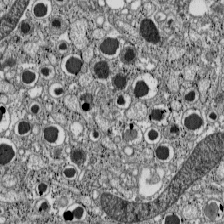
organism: C57BL Mouse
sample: Pancreatic islet